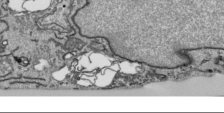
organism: Human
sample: Mitochondria in HCT116 cells